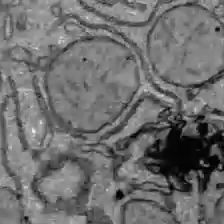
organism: C57BL Mouse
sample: Liver